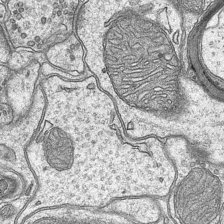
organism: Mouse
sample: CA1 Hippocampus